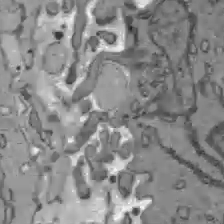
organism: C57BL Mouse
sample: Liver